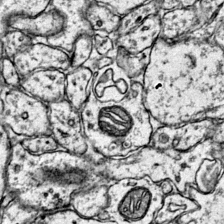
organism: Mouse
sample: Primary visual cortex